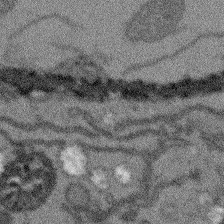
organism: Arabidopsis thaliana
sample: Root tip